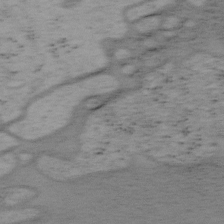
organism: Mouse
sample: OT-I killer T cells with ID8 ovarian cancer cells